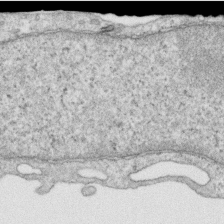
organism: Human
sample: Centriole in RPE cells